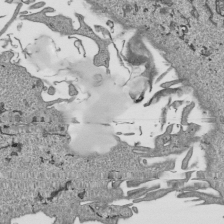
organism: Human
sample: Mitochondria in HCT116 cells